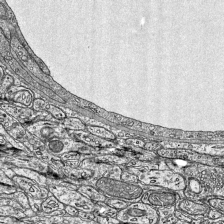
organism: Mouse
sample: Visual Cortex